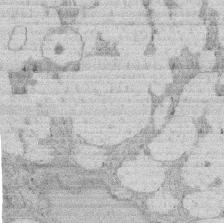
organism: Rat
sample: Salivary granule